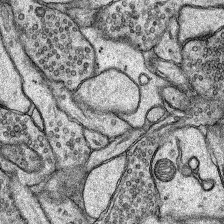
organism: Rat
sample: Hippocampus